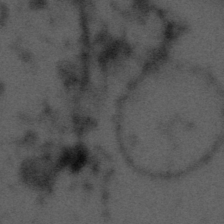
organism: Tuwongella immobilis